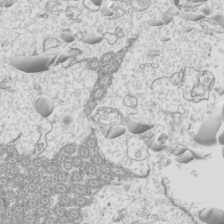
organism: Mouse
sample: Cilia; mouse epididymis